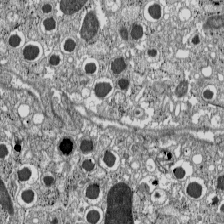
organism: C57BL Mouse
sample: Pancreatic islet